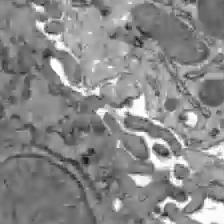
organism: C57BL Mouse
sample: Liver